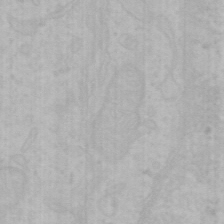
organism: Mouse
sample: Choroid plexus